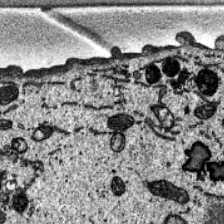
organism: Human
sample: HeLa cells